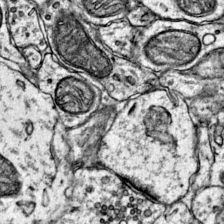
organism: Mouse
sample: Primary visual cortex